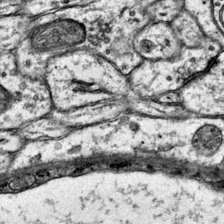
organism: Mouse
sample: Primary visual cortex